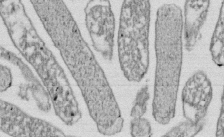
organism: E. coli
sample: Bacterial nucleoid